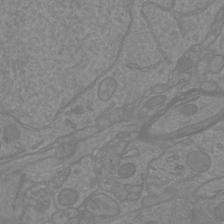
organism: Mouse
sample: Cortical neurons